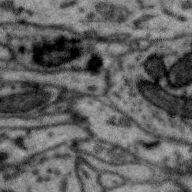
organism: Zebra finch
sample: Brain